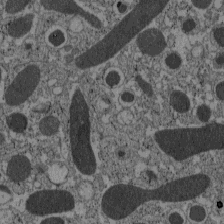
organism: C57BL Mouse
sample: Pancreatic islet